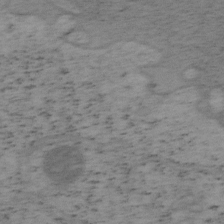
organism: Mouse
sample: OT-I killer T cells with ID8 ovarian cancer cells